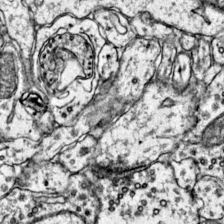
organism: Mouse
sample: Primary visual cortex